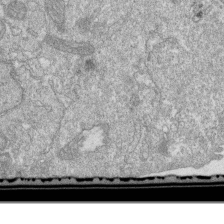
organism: Human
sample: HeLa cell HIV synapse